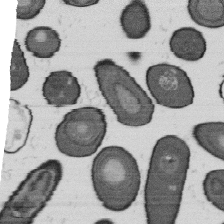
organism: B. subtilis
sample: Bacterial spore